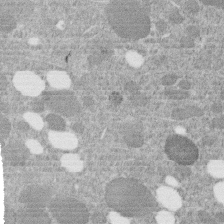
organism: C. elegans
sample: C. elegans embryo early stage